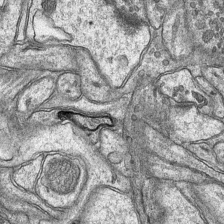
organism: Mouse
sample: CA1 Hippocampus